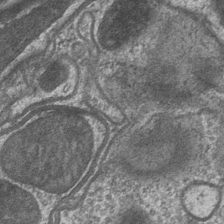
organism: Drosophila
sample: Optic medulla